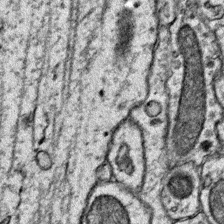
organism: Mouse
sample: Primary visual cortex